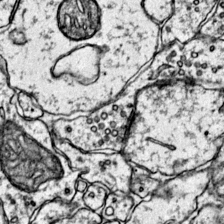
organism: Mouse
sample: Primary visual cortex